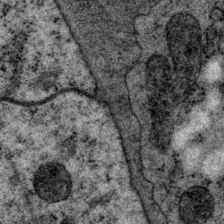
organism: P. pacificus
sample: Pharynx